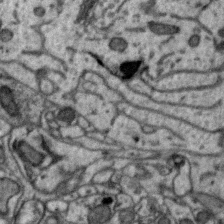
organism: Zebra finch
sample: Brain